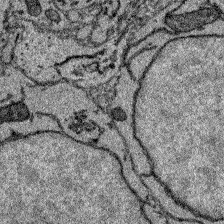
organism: Zebrafish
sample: Larval olfactory bulb